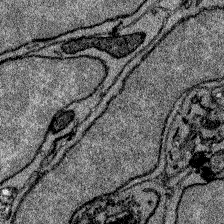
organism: Zebrafish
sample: Larval olfactory bulb